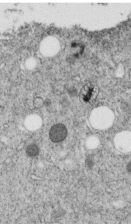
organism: C. elegans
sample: C. elegans embryo early stage